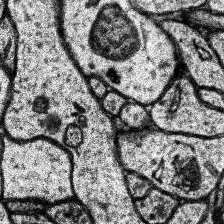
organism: Human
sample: Temporal Lobe